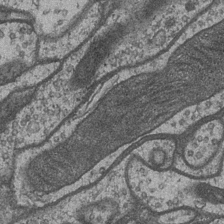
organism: Drosophila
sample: Optic medulla